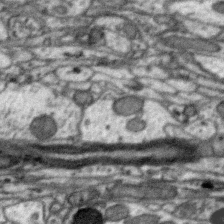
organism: Zebra finch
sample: Brain